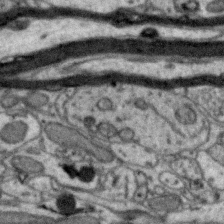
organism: Zebra finch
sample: Brain